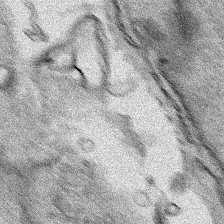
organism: Human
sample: Mitochondria in HCT116 cells